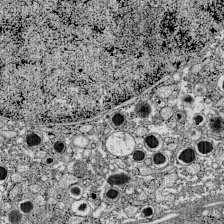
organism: C57BL Mouse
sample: Pancreatic islet